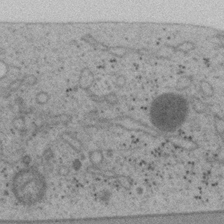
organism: Human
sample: HeLa cells